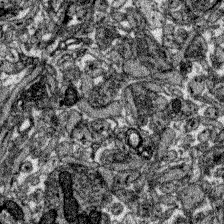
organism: Zebrafish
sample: Larval olfactory bulb